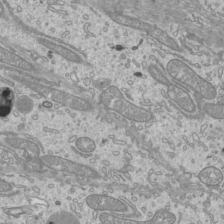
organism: Mouse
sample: Cilia; mouse epididymis